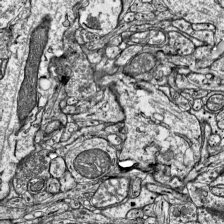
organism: Mouse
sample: Visual Cortex